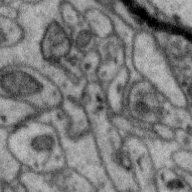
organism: Zebra finch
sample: Brain